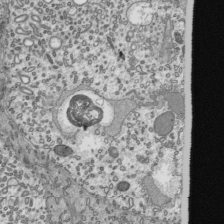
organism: Mouse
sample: Mouse epididymis efferent ductule cilia